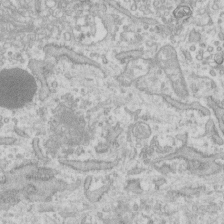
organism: Human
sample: Fibroblast cells